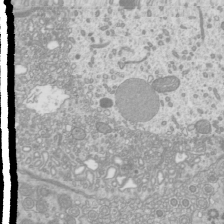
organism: Mouse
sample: Cilia; mouse epididymis